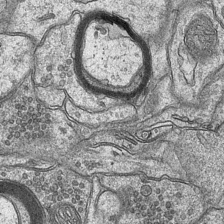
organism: Mouse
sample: CA1 Hippocampus